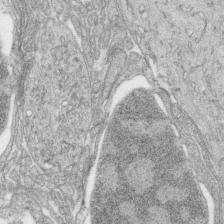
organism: Zebrafish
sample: synaptic ribbons in rod cells and cone cells